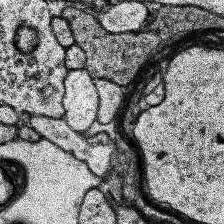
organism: Human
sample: Temporal Lobe